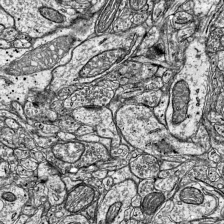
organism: Mouse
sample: Visual Cortex